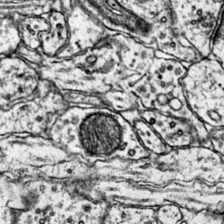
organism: Mouse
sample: Primary visual cortex